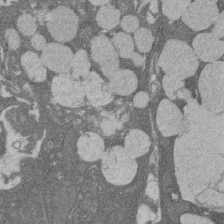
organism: Rat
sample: Salivary granule